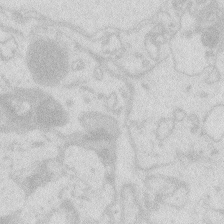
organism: Zebrafish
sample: Macrophage